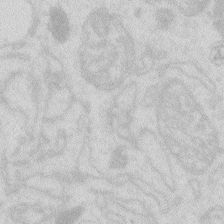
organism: Zebrafish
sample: Macrophage